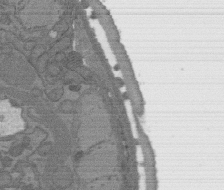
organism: C. elegans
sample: AFD neurons C. elegans